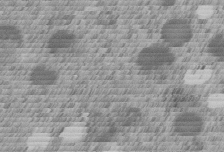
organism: C. elegans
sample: C. elegans embryo early stage